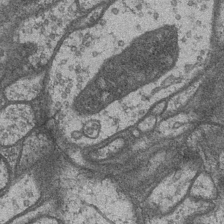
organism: Drosophila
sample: Optic medulla